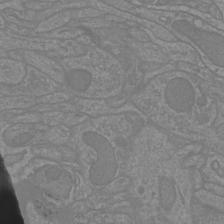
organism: Mouse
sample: Cortical neurons